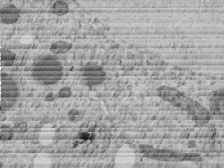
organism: C. elegans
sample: C. elegans embryo early stage